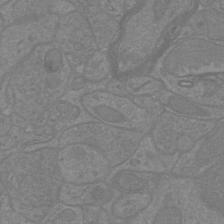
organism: Mouse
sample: Cortical neurons